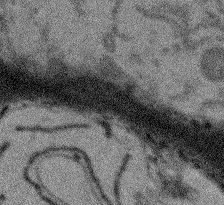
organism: Arabidopsis thaliana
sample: Root tip